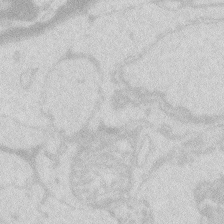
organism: Zebrafish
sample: Macrophage